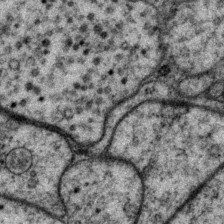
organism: P. pacificus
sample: Pharynx